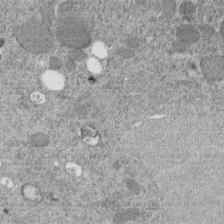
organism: C. elegans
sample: C. elegans embryo early stage